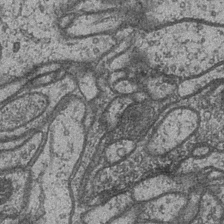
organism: Drosophila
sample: Optic medulla